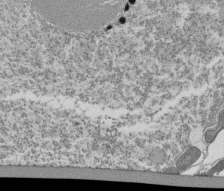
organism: Tetrahymena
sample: Cilia in tetrahymena